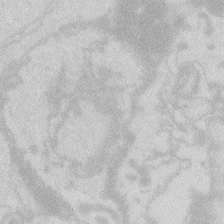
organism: Zebrafish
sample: Macrophage